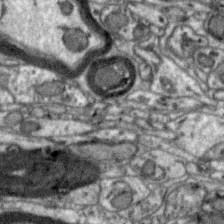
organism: Zebra finch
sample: Brain